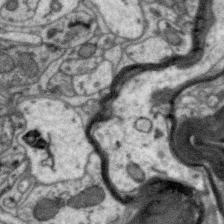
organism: Zebra finch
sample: Brain